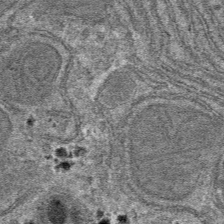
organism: Mouse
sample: Mouse hepatocytes